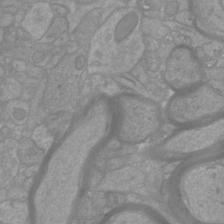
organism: Mouse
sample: Cortical neurons